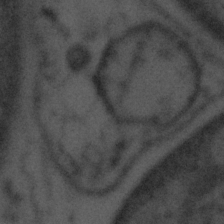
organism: Tuwongella immobilis